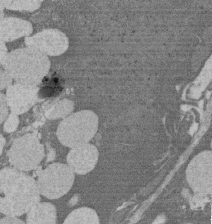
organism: Rat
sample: Salivary granule